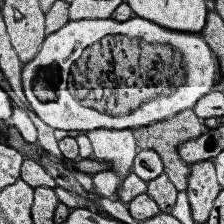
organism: Human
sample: Temporal Lobe